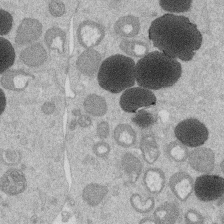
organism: Mouse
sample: Dividing mouse embryo 1 cell stage